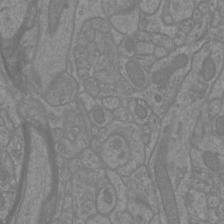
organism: Mouse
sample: Cortical neurons